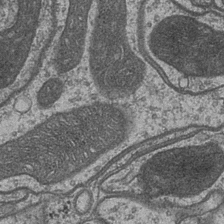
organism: Drosophila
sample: Optic medulla